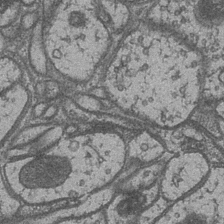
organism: Drosophila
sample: Optic medulla